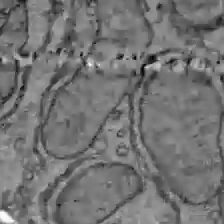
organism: C57BL Mouse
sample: Liver